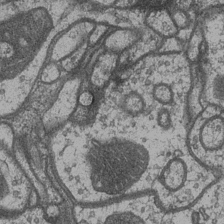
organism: Drosophila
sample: Optic medulla